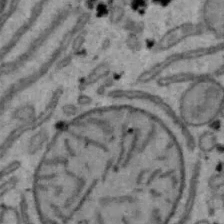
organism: Mouse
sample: Liver